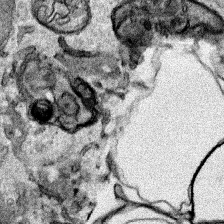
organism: Human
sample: Mitochondria in HCT116 cells